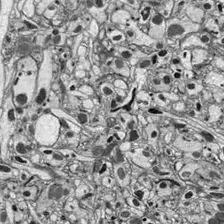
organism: Drosophila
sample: Optic lobe